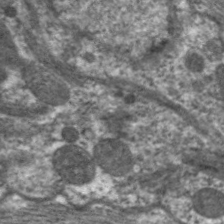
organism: C. elegans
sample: Pharynx